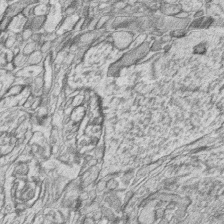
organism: Zebrafish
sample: synaptic ribbons in rod cells and cone cells